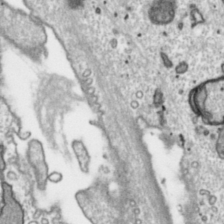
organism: Toxoplasma gondii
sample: Parasites in a vacuole inside a host cell